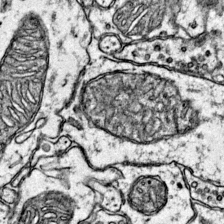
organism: Mouse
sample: Primary visual cortex